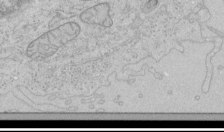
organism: Human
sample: Mitochondria in HCT116 cells